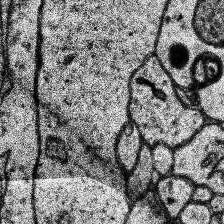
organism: Human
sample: Temporal Lobe